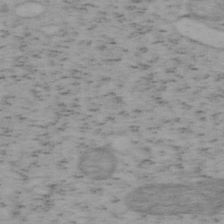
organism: Mouse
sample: OT-I killer T cells with ID8 ovarian cancer cells